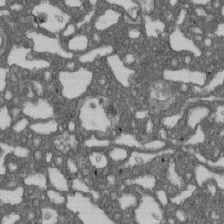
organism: Drosophila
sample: Nephrocyte